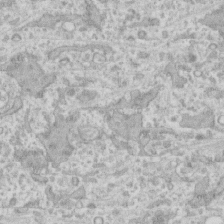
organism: Human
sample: CRL-1474